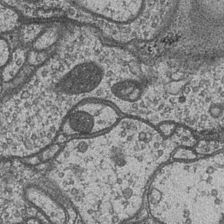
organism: Drosophila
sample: Optic medulla